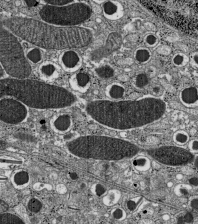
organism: C57BL Mouse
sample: Pancreatic islet